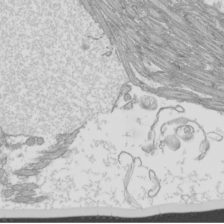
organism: Mouse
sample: Cilia; mouse epididymis